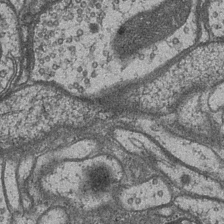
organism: Drosophila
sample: Optic medulla